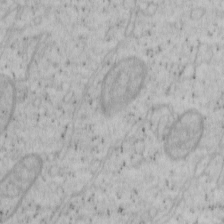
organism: Human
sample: HeLa cells